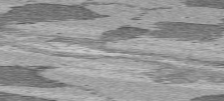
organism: C57BL Mouse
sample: Heart